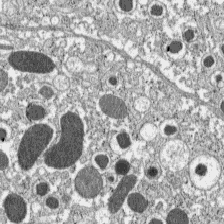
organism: C57BL Mouse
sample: Pancreatic islet